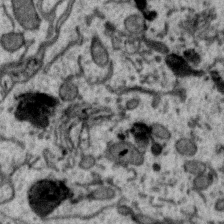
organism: Zebra finch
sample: Brain